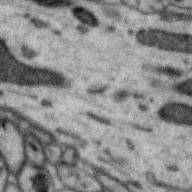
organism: Zebra finch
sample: Brain